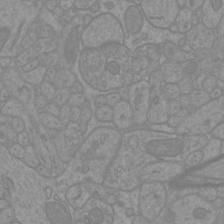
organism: Mouse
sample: Cortical neurons